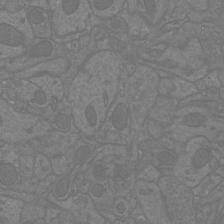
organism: Mouse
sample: Cortical neurons